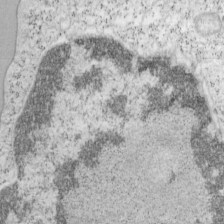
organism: Mouse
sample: OT-I killer T cells with ID8 ovarian cancer cells